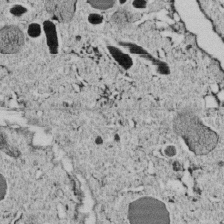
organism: C. elegans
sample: C. elegans embryo early stage